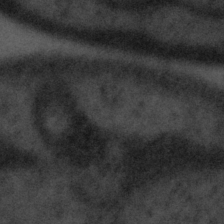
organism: Tuwongella immobilis